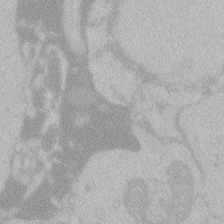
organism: Zebrafish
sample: Macrophage infected with Toxoplasma gondii